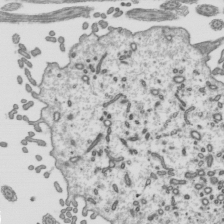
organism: Mouse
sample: Mouse epididymis efferent ductule cilia